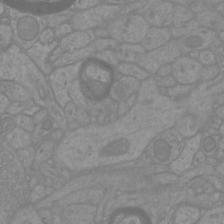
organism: Mouse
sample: Cortical neurons